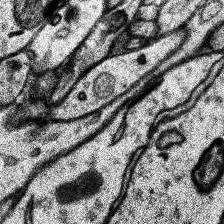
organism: Human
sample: Temporal Lobe